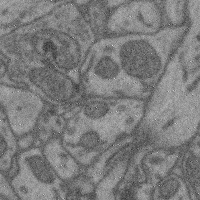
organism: Mouse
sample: Cerebral cortex